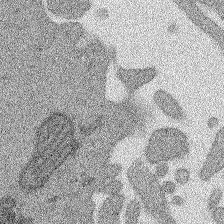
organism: Human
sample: HeLa cells